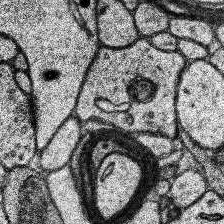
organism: Human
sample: Temporal Lobe